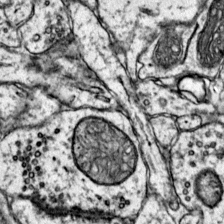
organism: Mouse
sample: Primary visual cortex